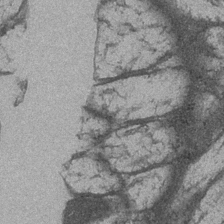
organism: Drosophila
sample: Optic medulla